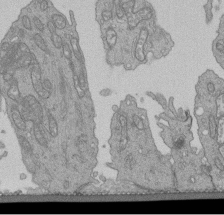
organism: Human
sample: Retinal organoid Rod and Cone cells